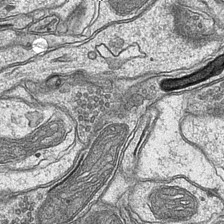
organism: Mouse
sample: CA1 Hippocampus